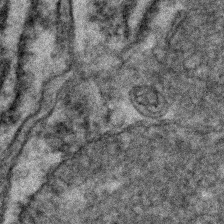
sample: Kidney